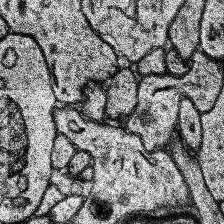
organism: Human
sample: Temporal Lobe